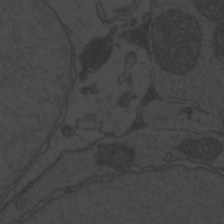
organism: Zebrafish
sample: Macrophage infected with Toxoplasma gondii